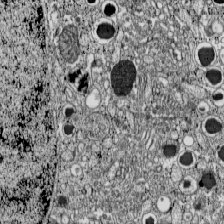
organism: C57BL Mouse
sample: Pancreatic islet